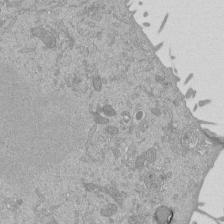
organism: Mouse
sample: ED-1 cell nuclei; centrioles